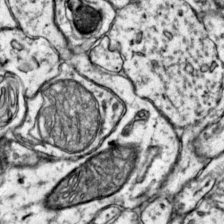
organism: Mouse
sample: Primary visual cortex